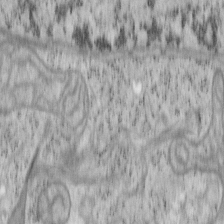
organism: Human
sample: HeLa cells